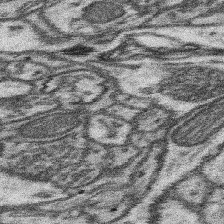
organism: Mouse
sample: Somatosensory cortex neuropil